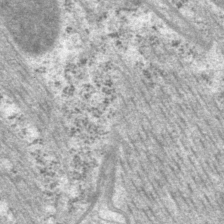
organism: P. pacificus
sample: Pharynx